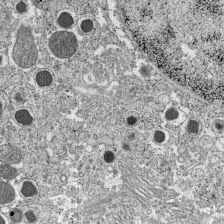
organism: C57BL Mouse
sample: Pancreatic islet